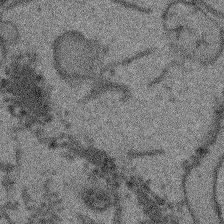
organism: Arabidopsis thaliana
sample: Root tip